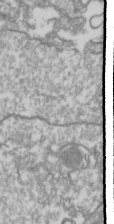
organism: Drosophila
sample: Cell division; meiosis; drosophila spermatocytes